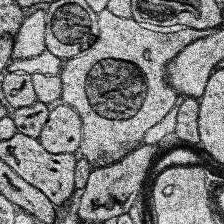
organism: Human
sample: Temporal Lobe